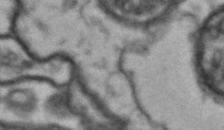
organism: Drosophila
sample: Brain